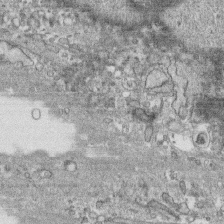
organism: Human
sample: CRL-1474